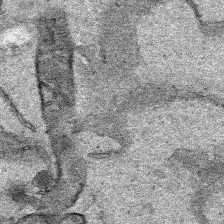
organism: Human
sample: Mitochondria in HCT116 cells